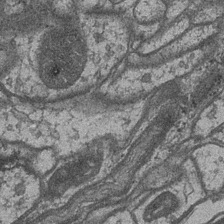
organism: Drosophila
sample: Optic medulla